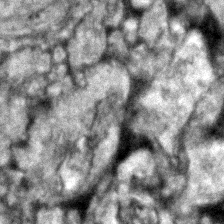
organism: Zebrafish